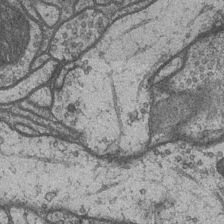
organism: Drosophila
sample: Optic medulla